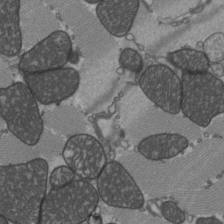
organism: C57BL Mouse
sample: Heart